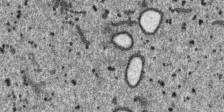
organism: Human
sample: Lung epithelial cells infected with SARS-CoV-2